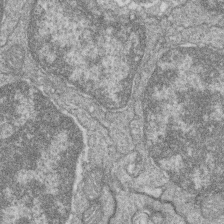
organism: Zebrafish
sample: Cilia; retinal pigment epithelium